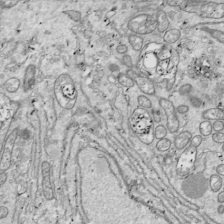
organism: Drosophila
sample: Cell division; meiosis; drosophila spermatocytes